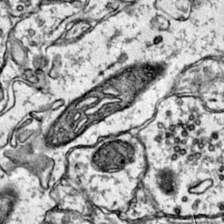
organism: Mouse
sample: Primary visual cortex